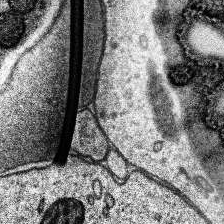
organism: Human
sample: Temporal Lobe